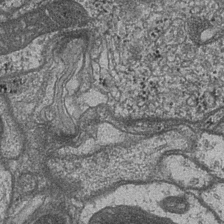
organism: Drosophila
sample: Optic medulla